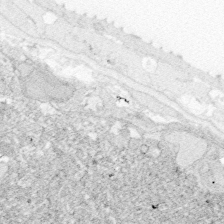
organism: Zebrafish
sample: Whole-Brain